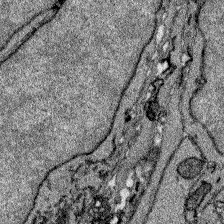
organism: Zebrafish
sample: Larval olfactory bulb